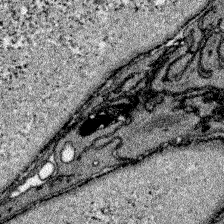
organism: Zebrafish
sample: Larval olfactory bulb